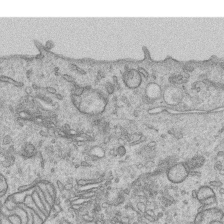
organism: Human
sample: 1205lu cells